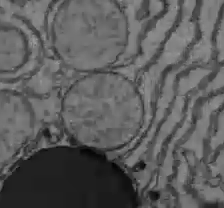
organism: C57BL Mouse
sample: Liver